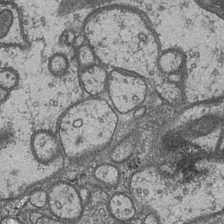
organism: Drosophila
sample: Optic medulla